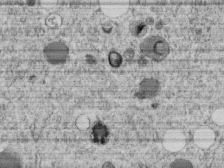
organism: C. elegans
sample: C. elegans embryo early stage